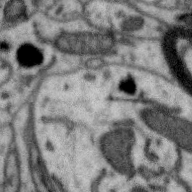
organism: Zebra finch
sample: Brain